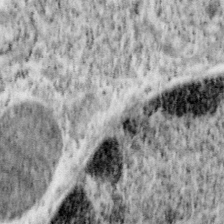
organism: Mouse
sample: OT-I killer T cells with ID8 ovarian cancer cells